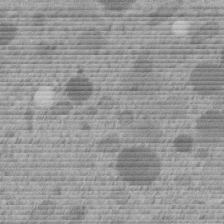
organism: C. elegans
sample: C. elegans embryo early stage